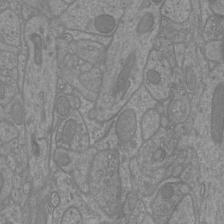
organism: Mouse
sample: Cortical neurons